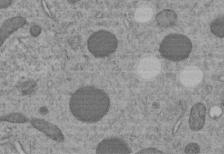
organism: C. elegans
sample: C. elegans embryo early stage